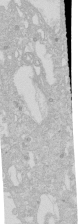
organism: Human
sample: Caco-2 cells